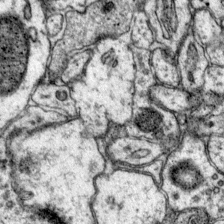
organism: Mouse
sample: Primary visual cortex